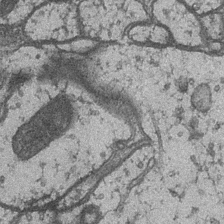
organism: Drosophila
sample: Optic medulla